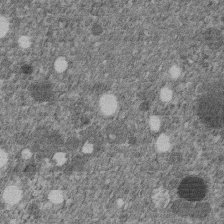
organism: C. elegans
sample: C. elegans embryo early stage